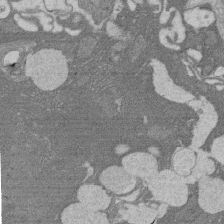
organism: Rat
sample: Salivary granule